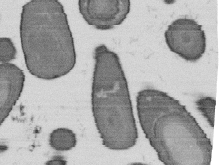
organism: B. subtilis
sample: Bacterial spore